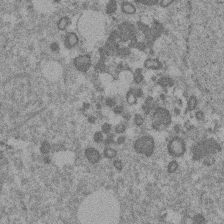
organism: Mouse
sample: Dividing mouse embryo 1 cell stage